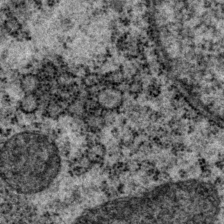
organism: P. pacificus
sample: Pharynx